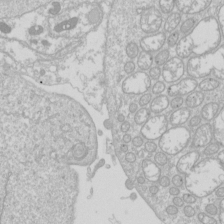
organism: Drosophila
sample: Cell division; meiosis; drosophila spermatocytes